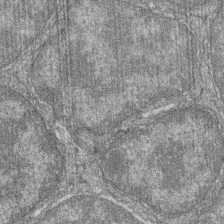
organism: Zebrafish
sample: Cilia; retinal pigment epithelium